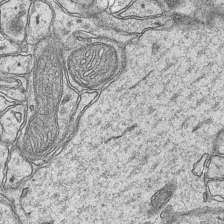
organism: Mouse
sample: CA1 Hippocampus